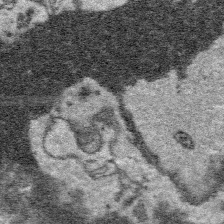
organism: Platynereis dumerilii